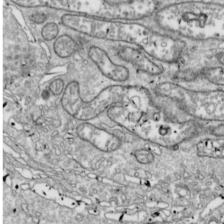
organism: Drosophila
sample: Cell division; meiosis; drosophila spermatocytes